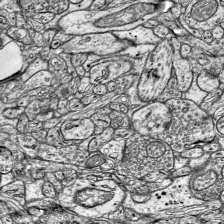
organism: Mouse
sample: Visual Cortex